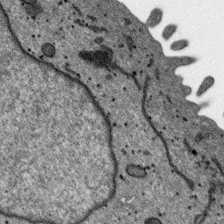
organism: Human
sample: Lung epithelial cells, uninfected (mock) control